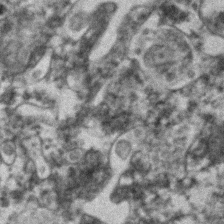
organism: Human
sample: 1205lu cells